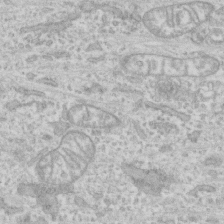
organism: Human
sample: CRL-1474